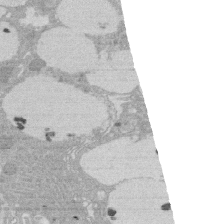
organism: Rat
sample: Salivary granule